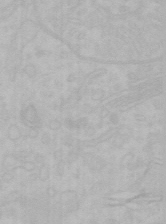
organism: Mouse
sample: Choroid plexus